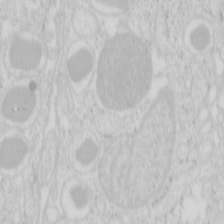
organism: Mouse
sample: Pancreas